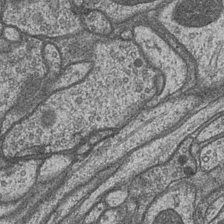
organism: Drosophila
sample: Optic medulla